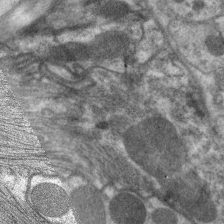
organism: C. elegans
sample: Pharynx